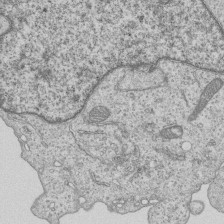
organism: Human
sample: MDA-MB-231 cells